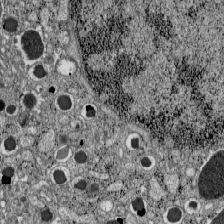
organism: C57BL Mouse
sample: Pancreatic islet